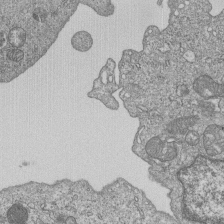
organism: Human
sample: MDA-MB-231 cells